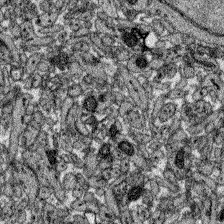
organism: Zebrafish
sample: Larval olfactory bulb